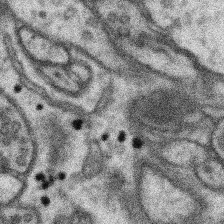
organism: Mouse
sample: Somatosensory cortex neuropil